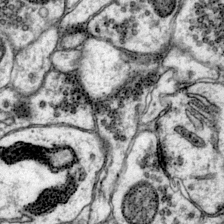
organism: Mouse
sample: Primary visual cortex